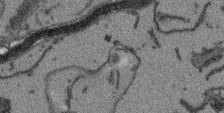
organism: Arabidopsis thaliana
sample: Root tip